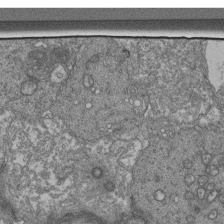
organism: Human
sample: Retinal organoid Rod and Cone cells